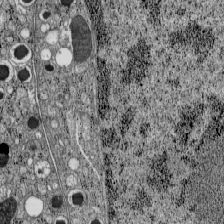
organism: C57BL Mouse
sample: Pancreatic islet